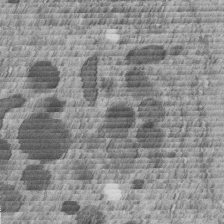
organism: C. elegans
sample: C. elegans embryo early stage